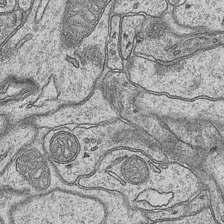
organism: Mouse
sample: CA1 Hippocampus